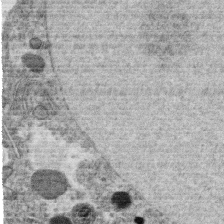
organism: C. elegans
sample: C. elegans oocyte; sperm cells